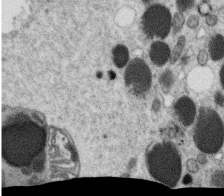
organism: C. elegans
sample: C. elegans oocyte; sperm cells